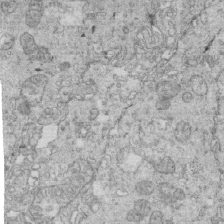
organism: Mouse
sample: Multiciliated cells